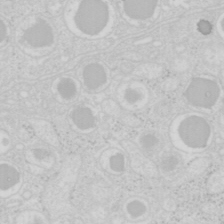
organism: Mouse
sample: Pancreas